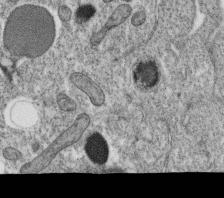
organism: C. elegans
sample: C. elegans oocyte; sperm cells